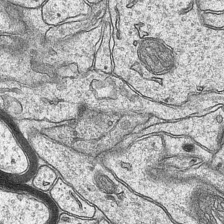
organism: Mouse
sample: CA1 Hippocampus